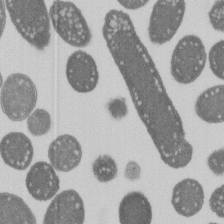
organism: E. coli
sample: Bacterial nucleoid